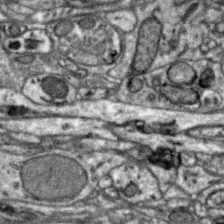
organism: Zebra finch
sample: Brain